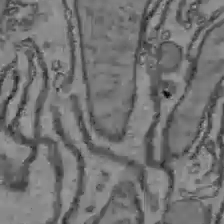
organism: C57BL Mouse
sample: Liver